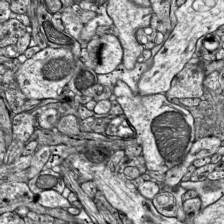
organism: Mouse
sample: Visual Cortex